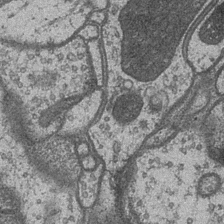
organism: Drosophila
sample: Optic medulla